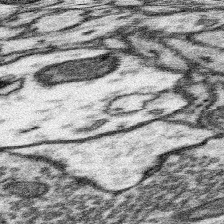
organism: Mouse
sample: Somatosensory cortex neuropil